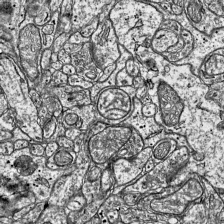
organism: Mouse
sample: Visual Cortex